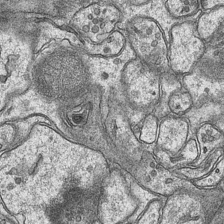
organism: Mouse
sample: CA1 Hippocampus